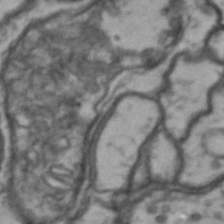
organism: Drosophila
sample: Brain